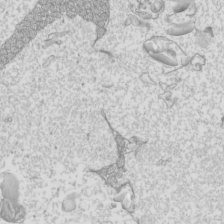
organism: Mouse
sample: Cilia; mouse epididymis